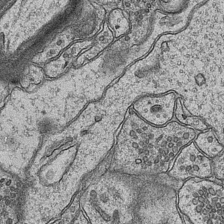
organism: Mouse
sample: CA1 Hippocampus